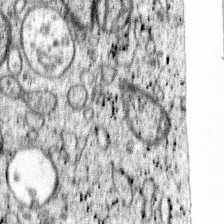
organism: Human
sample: HeLa cells